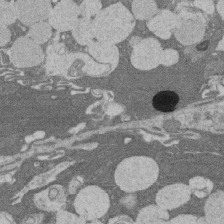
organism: Rat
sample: Salivary granule